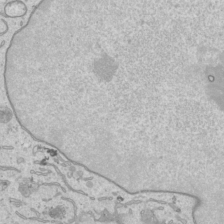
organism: Human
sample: Mitochondria in HCT116 cells